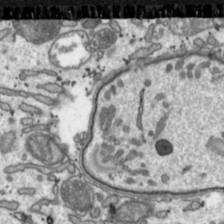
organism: Toxoplasma gondii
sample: Parasites in a vacuole inside a host cell